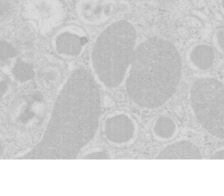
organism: Mouse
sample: Pancreas